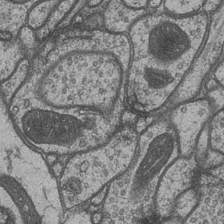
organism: Drosophila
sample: Optic medulla